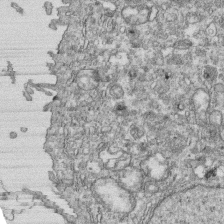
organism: Human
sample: HeLa cell HIV synapse